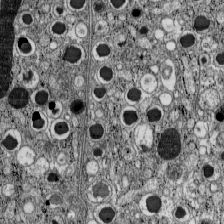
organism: C57BL Mouse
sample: Pancreatic islet